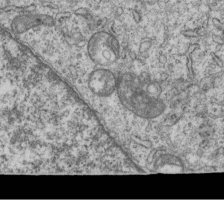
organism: Human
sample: MDA-MB-231 cells